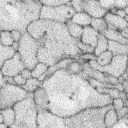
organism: Rabbit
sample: Retina